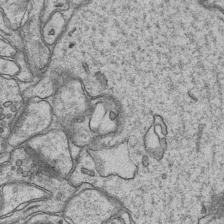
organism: Mouse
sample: CA1 Hippocampus